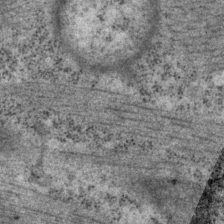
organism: P. pacificus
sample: Pharynx